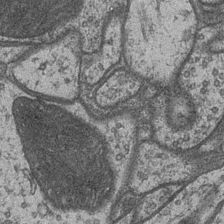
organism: Drosophila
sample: Optic medulla